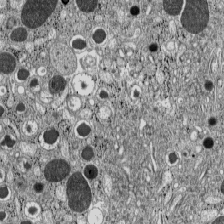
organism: C57BL Mouse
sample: Pancreatic islet